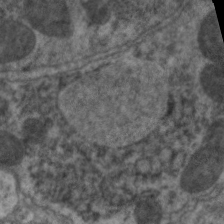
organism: C. elegans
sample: Pharynx